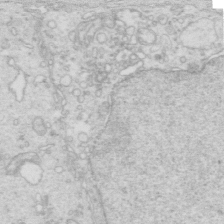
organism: Mouse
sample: Multiciliated cells